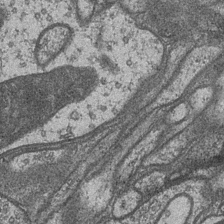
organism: Drosophila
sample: Optic medulla